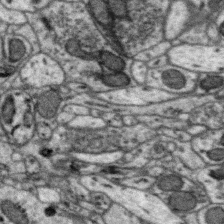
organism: Zebra finch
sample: Brain